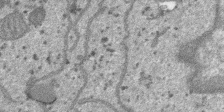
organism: Human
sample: Lung epithelial cells infected with SARS-CoV-2